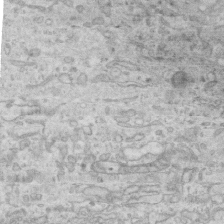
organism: Mouse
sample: Centriole in ependymal cells